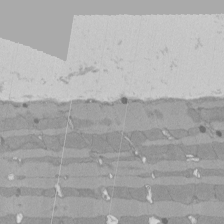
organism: Rat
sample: Left ventricle